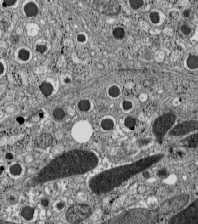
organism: C57BL Mouse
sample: Pancreatic islet